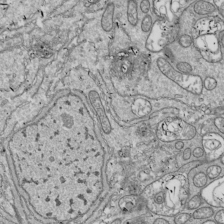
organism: Drosophila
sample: Cell division; meiosis; drosophila spermatocytes